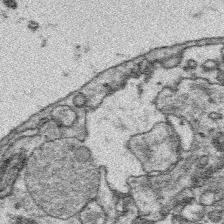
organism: Platynereis dumerilii